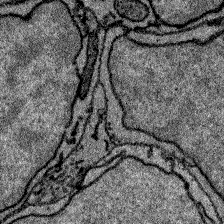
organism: Zebrafish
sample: Larval olfactory bulb